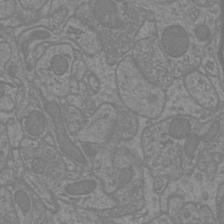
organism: Mouse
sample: Cortical neurons